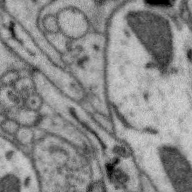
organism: Zebra finch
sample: Brain